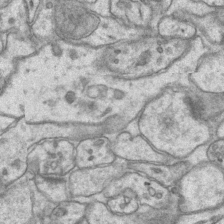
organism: Mouse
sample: CA1 Hippocampus